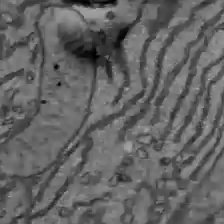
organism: C57BL Mouse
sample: Liver